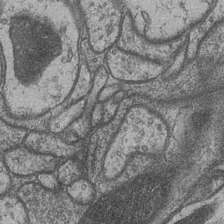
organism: Drosophila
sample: Optic medulla